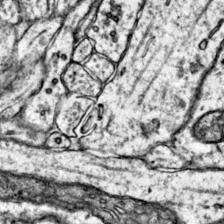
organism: Mouse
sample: Primary visual cortex